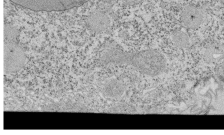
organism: Tetrahymena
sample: Cilia in tetrahymena